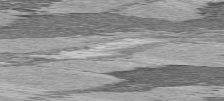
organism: C57BL Mouse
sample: Heart